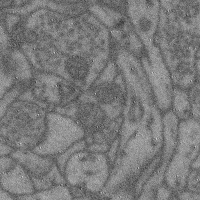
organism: Mouse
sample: Cerebral cortex